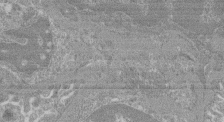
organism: Mouse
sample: Glomerulus